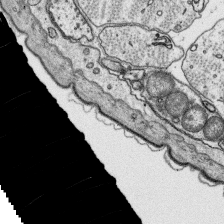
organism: Platynereis dumerilii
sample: Parapodia